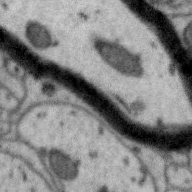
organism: Zebra finch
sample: Brain